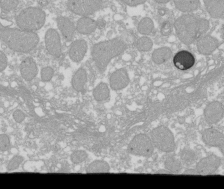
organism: Xenopus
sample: Cilia; centrioles in frog embryo cells